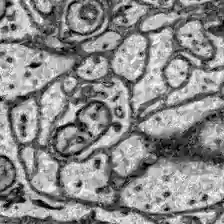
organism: Zebrafish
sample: Brain